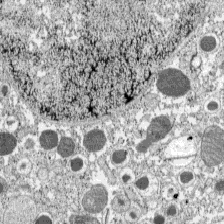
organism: C57BL Mouse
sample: Pancreatic islet